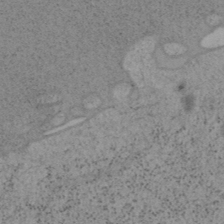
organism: Mouse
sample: OT-I killer T cells with ID8 ovarian cancer cells